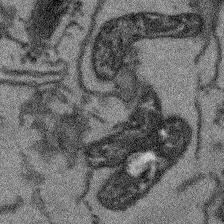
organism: Arabidopsis thaliana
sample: Root tip